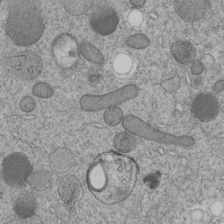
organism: C. elegans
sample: C. elegans embryo early stage